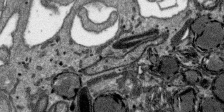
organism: Human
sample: Lung epithelial cells, uninfected (mock) control